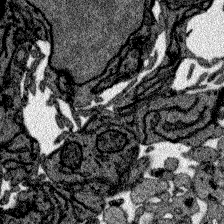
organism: Zebrafish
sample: Larval olfactory bulb